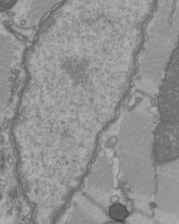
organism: C57BL Mouse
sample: Heart